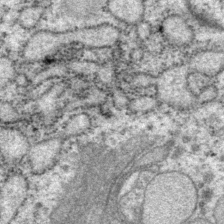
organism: P. pacificus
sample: Pharynx